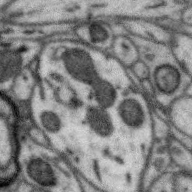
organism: Zebra finch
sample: Brain